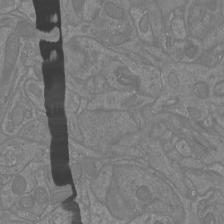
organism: Mouse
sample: Cortical neurons